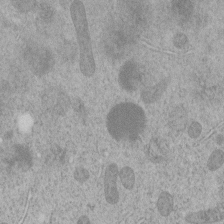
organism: C. elegans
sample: C. elegans embryo early stage